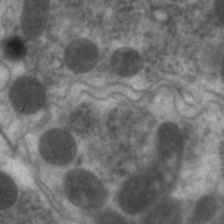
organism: C. elegans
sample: Pharynx